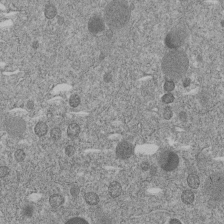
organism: C. elegans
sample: C. elegans embryo early stage